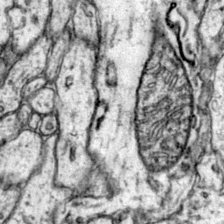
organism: Mouse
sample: Primary visual cortex